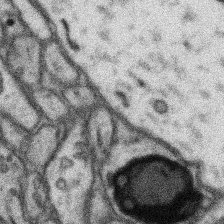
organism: Mouse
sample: Somatosensory cortex neuropil